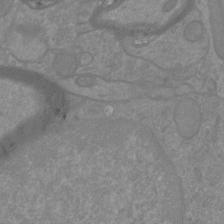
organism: Mouse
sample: Cortical neurons